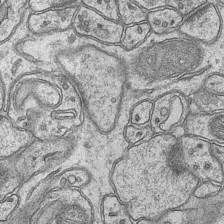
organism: Mouse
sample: CA1 Hippocampus